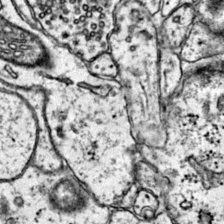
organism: Mouse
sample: Primary visual cortex